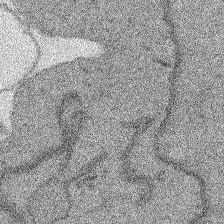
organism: Human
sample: HeLa cells